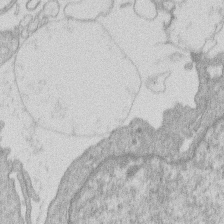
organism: Human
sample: Macrophage cells